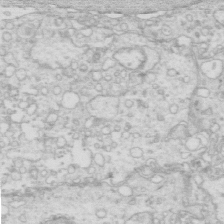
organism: Mouse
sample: Multiciliated cells